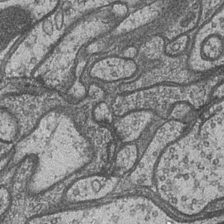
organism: Drosophila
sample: Optic medulla